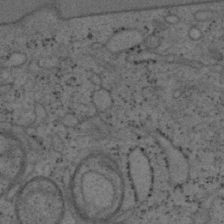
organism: Human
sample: HeLa cells